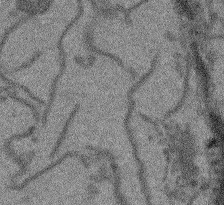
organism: Arabidopsis thaliana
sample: Root tip